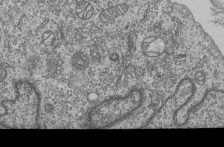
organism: Human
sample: MDA-MB-231 cells